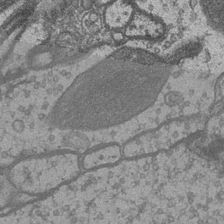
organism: Drosophila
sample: Optic medulla